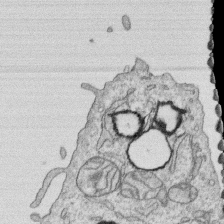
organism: Human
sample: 1205lu cells